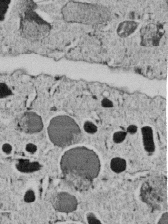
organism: C. elegans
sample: C. elegans embryo early stage